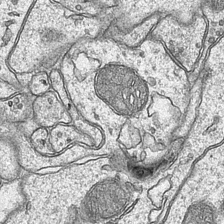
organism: Mouse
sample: CA1 Hippocampus